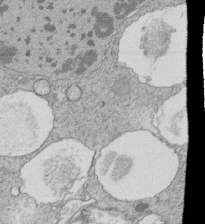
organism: Tetrahymena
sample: Cilia in tetrahymena